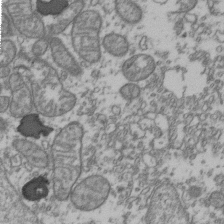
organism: Human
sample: Activated Jurkat CD4+ T cells